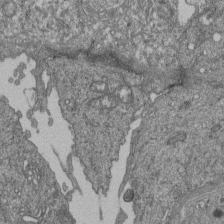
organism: Human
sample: Retinal organoid Rod and Cone cells